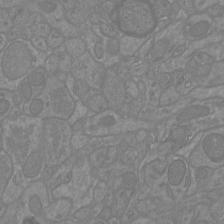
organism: Mouse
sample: Cortical neurons